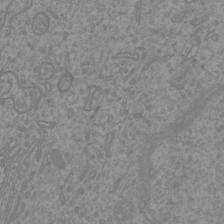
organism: Mouse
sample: Cortical neurons